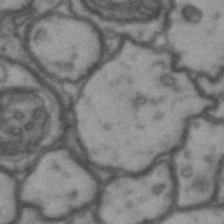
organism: Drosophila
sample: Brain